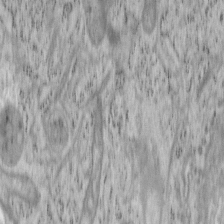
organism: Human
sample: HeLa cells